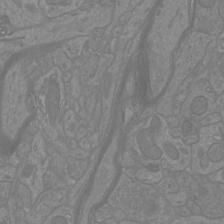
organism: Mouse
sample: Cortical neurons